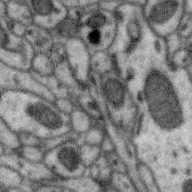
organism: Zebra finch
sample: Brain